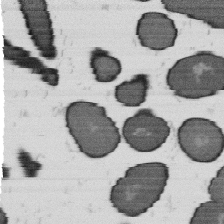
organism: B. subtilis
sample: Bacterial spore